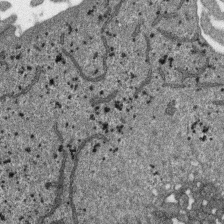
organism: Human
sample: Lung epithelial cells infected with SARS-CoV-2